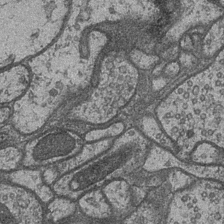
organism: Drosophila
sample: Optic medulla